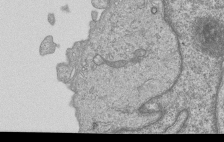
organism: Human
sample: MDA-MB-231 cells